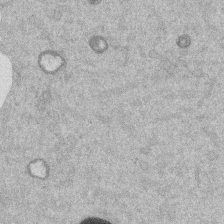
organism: Mouse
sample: Dividing mouse embryo 1 cell stage